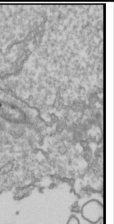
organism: Drosophila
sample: Cell division; meiosis; drosophila spermatocytes